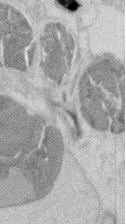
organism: Mouse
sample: T cell stromal cell synapse